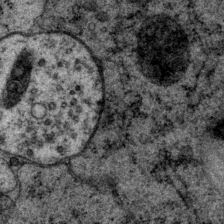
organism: P. pacificus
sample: Pharynx